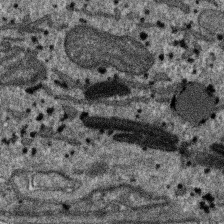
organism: Human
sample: Lung epithelial cells infected with SARS-CoV-2